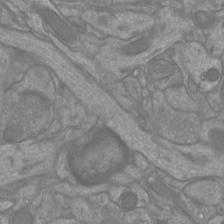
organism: Mouse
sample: Cortical neurons